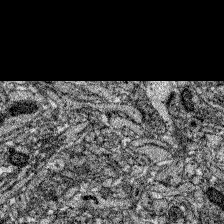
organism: Zebrafish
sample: Larval olfactory bulb